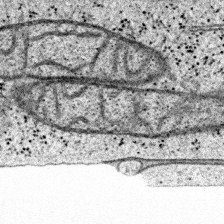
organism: Human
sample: HeLa cells